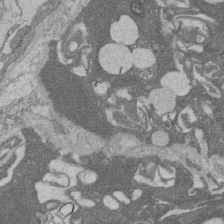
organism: Rat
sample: Salivary granule